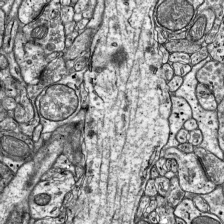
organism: Mouse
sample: Visual Cortex